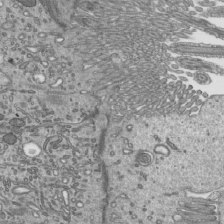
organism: Mouse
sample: Mouse epididymis efferent ductule cilia